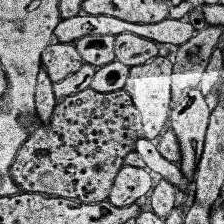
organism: Human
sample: Temporal Lobe